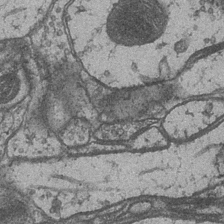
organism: Drosophila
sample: Optic medulla